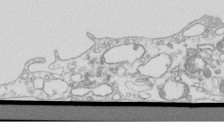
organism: Mouse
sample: Macrophages